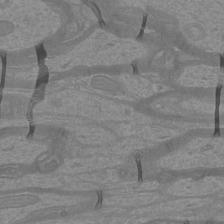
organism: Mouse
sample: Cortical neurons